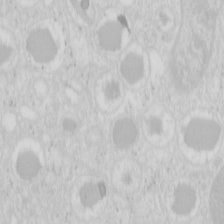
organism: Mouse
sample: Pancreas